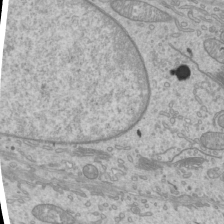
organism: Mouse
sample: Cilia; mouse epididymis